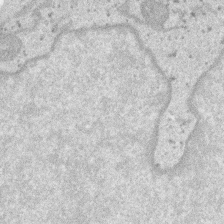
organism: Human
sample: Lung epithelial cells infected with SARS-CoV-2